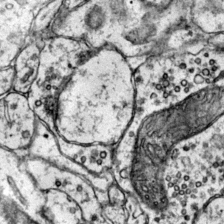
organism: Mouse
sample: Primary visual cortex